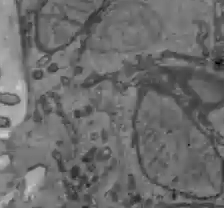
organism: C57BL Mouse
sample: Liver